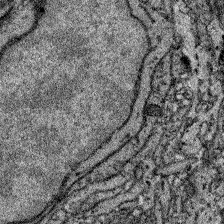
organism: Zebrafish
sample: Larval olfactory bulb